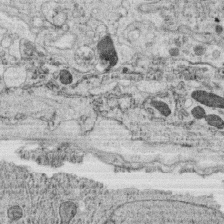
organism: C. elegans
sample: C. elegans oocyte; sperm cells